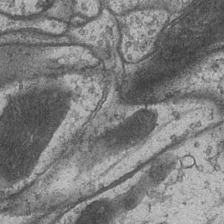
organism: Drosophila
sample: Optic medulla